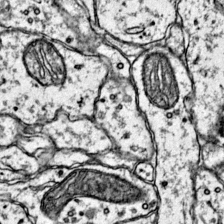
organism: Mouse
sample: Primary visual cortex